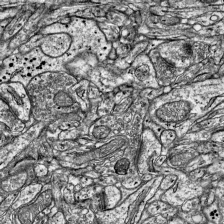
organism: Mouse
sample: Visual Cortex